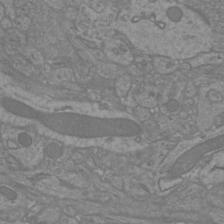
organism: Mouse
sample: Cortical neurons